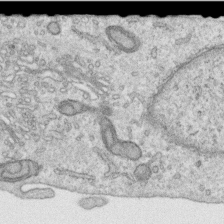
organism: Human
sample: Centriole in RPE cells